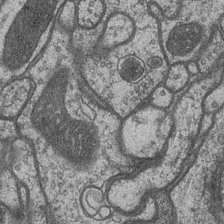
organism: Drosophila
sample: Optic medulla